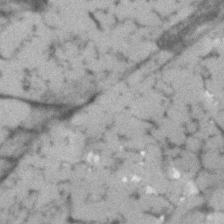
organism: Human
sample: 1205lu cells